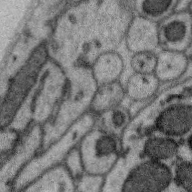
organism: Zebra finch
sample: Brain